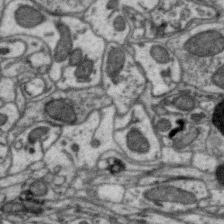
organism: Zebra finch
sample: Brain